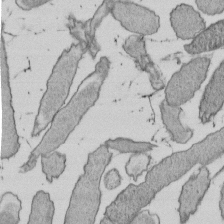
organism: E. coli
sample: Bacterial nucleoid